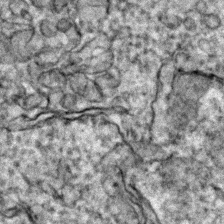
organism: Zebrafish